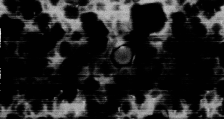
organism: Human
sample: HIV infected U937 cells